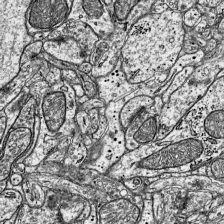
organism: Mouse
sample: Visual Cortex